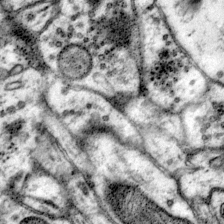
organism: Mouse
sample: Primary visual cortex